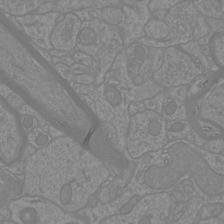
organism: Mouse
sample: Cortical neurons